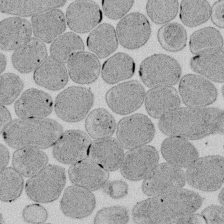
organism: E. coli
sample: Bacterial nucleoid